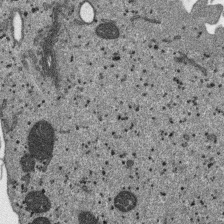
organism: Human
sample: Lung epithelial cells infected with SARS-CoV-2